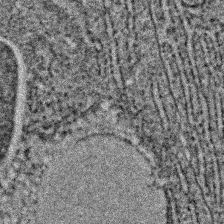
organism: C. elegans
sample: C. elegans embryo